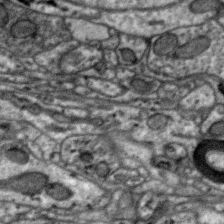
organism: Zebra finch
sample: Brain